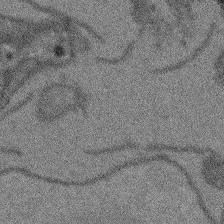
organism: Arabidopsis thaliana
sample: Root tip